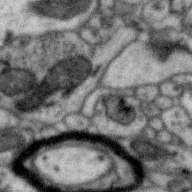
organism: Zebra finch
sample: Brain